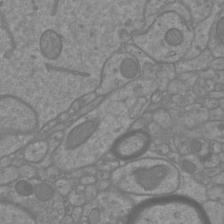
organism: Mouse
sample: Cortical neurons